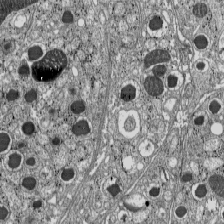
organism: C57BL Mouse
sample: Pancreatic islet